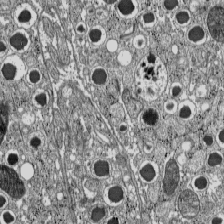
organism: C57BL Mouse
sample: Pancreatic islet